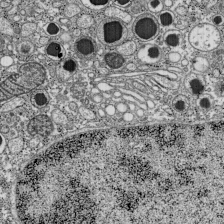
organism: C57BL Mouse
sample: Pancreatic islet